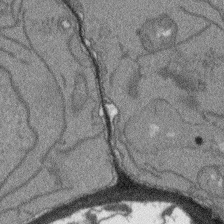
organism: Arabidopsis thaliana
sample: Root tip